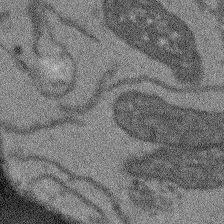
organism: Arabidopsis thaliana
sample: Root tip